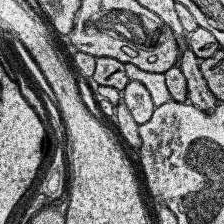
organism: Human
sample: Temporal Lobe